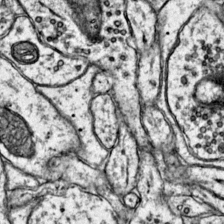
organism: Mouse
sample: Primary visual cortex